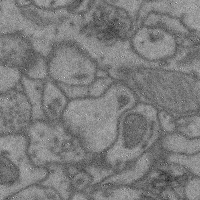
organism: Mouse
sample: Cerebral cortex